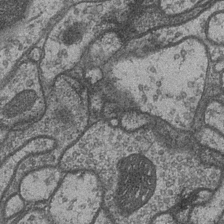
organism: Drosophila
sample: Optic medulla